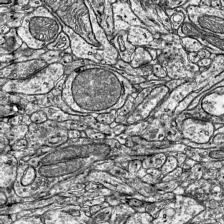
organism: Mouse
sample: Visual Cortex